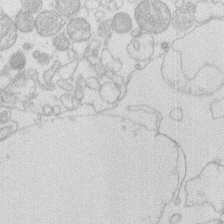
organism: Human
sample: Macrophage cells